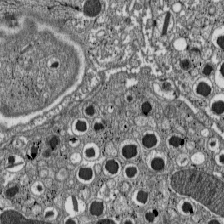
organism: C57BL Mouse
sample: Pancreatic islet